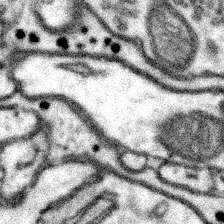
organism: Mouse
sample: Somatosensory cortex neuropil